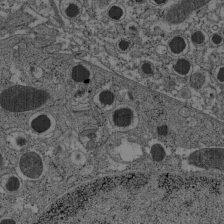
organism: C57BL Mouse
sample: Pancreatic islet